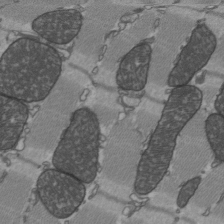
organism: C57BL Mouse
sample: Heart